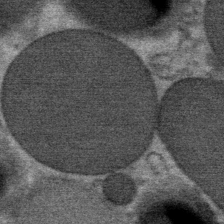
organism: Mouse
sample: Mouse Salivary gland